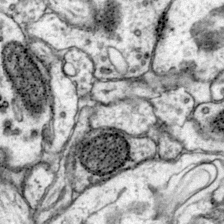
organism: Mouse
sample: Primary visual cortex